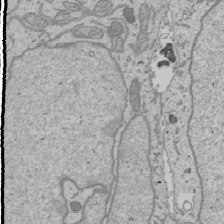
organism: Human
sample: Mitochondria in U2OS cells